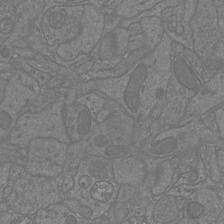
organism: Mouse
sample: Cortical neurons